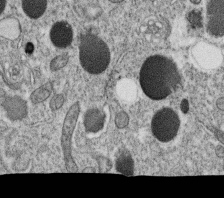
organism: C. elegans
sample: C. elegans oocyte; sperm cells